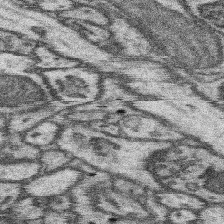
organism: Mouse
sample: Somatosensory cortex neuropil